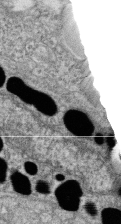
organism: Zebrafish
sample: Cilia; retinal pigment epithelium